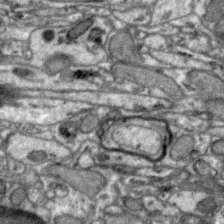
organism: Zebra finch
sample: Brain